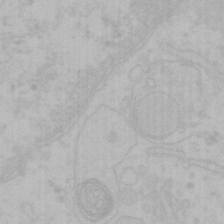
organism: Mouse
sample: Choroid plexus